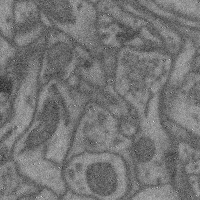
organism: Mouse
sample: Cerebral cortex